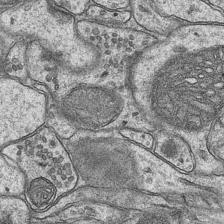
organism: Mouse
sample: CA1 Hippocampus